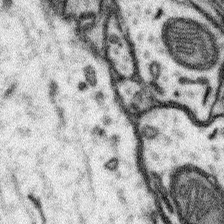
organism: Mouse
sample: Somatosensory cortex neuropil